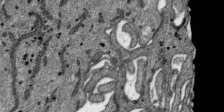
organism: Human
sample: Lung epithelial cells, uninfected (mock) control